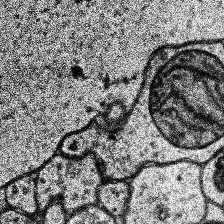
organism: Human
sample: Temporal Lobe